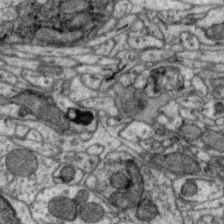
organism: Zebra finch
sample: Brain